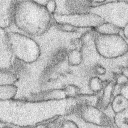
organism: Rabbit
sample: Retina